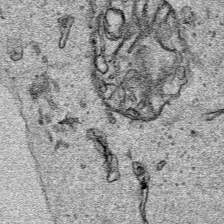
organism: Human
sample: Mitochondria in HCT116 cells